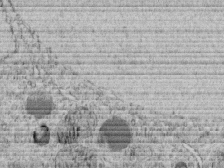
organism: C. elegans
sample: C. elegans embryo early stage